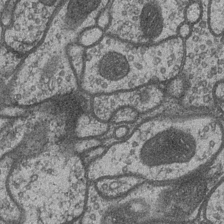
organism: Drosophila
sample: Optic medulla